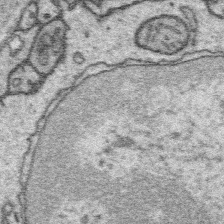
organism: Platynereis dumerilii